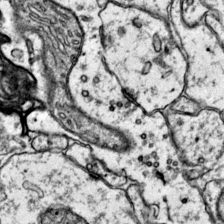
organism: Mouse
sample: Primary visual cortex